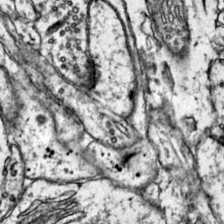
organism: Mouse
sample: Primary visual cortex